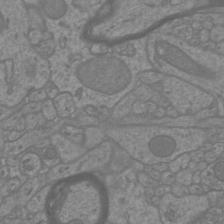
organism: Mouse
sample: Cortical neurons